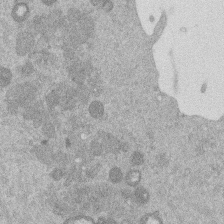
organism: Mouse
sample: Dividing mouse embryo 1 cell stage